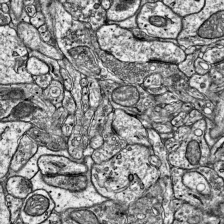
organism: Mouse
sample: Visual Cortex